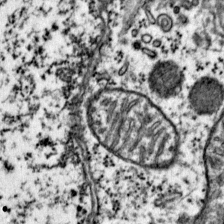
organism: Mouse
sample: Primary visual cortex